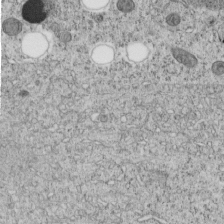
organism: C. elegans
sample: C. elegans embryo early stage